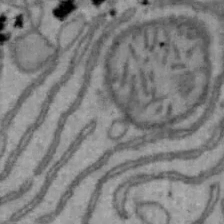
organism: Mouse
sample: Liver